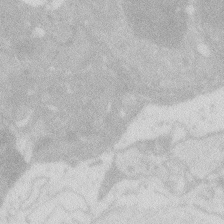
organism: Zebrafish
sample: Macrophage